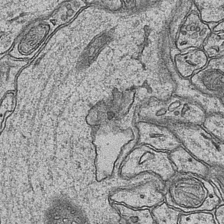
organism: Mouse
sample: CA1 Hippocampus